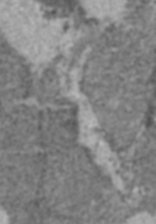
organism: C57BL Mouse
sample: Heart